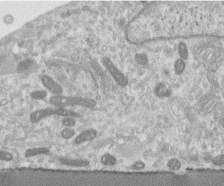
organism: Human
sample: Centriole in RPE cells